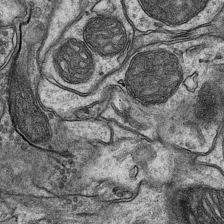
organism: Mouse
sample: CA1 Hippocampus